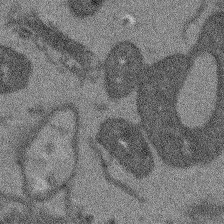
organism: Arabidopsis thaliana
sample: Root tip